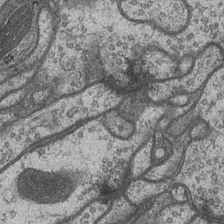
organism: Drosophila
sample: Optic medulla